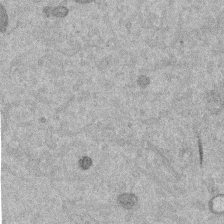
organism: Mouse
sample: Dividing mouse embryo 1 cell stage